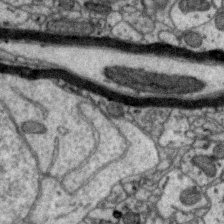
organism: Zebra finch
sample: Brain